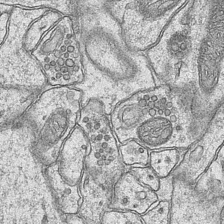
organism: Mouse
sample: CA1 Hippocampus